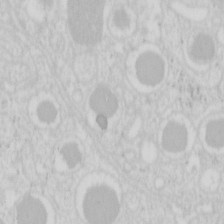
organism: Mouse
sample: Pancreas